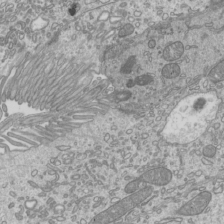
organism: Mouse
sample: Cilia; mouse epididymis